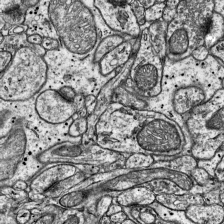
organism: Mouse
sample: Visual Cortex